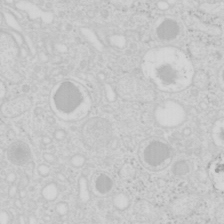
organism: Mouse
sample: Pancreas